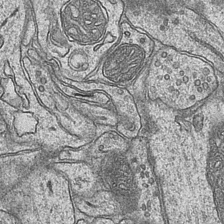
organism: Mouse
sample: CA1 Hippocampus